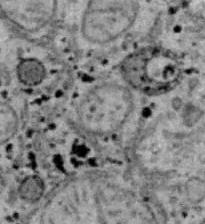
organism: Mouse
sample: Liver from an obese (ob/ob) mouse